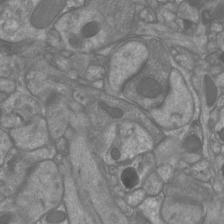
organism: Mouse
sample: Cortical neurons